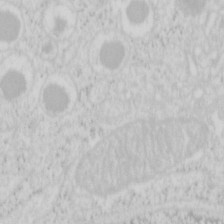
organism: Mouse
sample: Pancreas